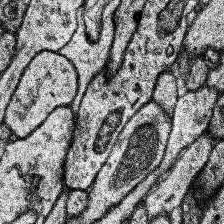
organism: Human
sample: Temporal Lobe